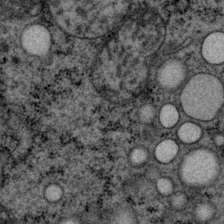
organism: P. pacificus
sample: Pharynx